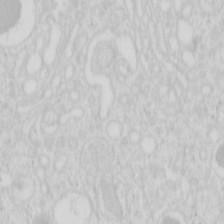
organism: Mouse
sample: Pancreas